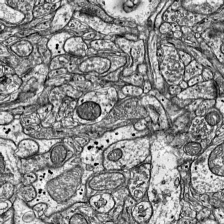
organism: Mouse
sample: Visual Cortex